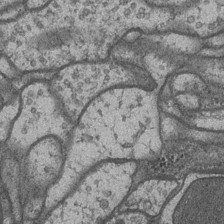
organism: Drosophila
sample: Optic medulla